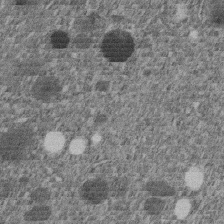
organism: C. elegans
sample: C. elegans embryo early stage